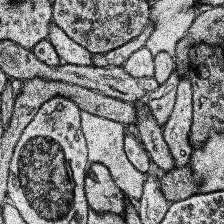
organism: Human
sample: Temporal Lobe